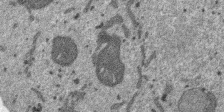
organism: Human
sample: Lung epithelial cells infected with SARS-CoV-2